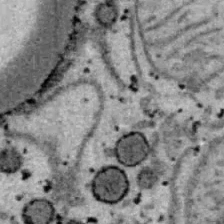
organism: Mouse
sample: Liver from an obese (ob/ob) mouse